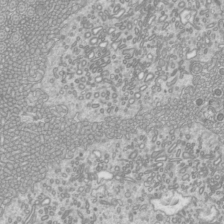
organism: Mouse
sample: Cilia; mouse epididymis